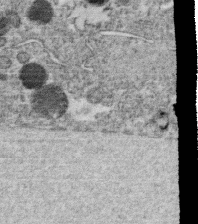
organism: C. elegans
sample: C. elegans oocyte; sperm cells